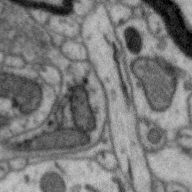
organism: Zebra finch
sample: Brain